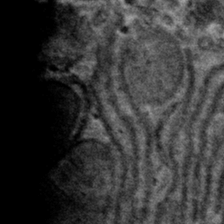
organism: Mouse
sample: Mouse hepatocytes